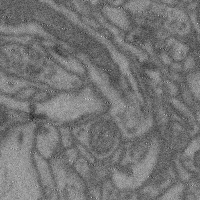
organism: Mouse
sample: Cerebral cortex